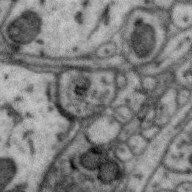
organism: Zebra finch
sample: Brain